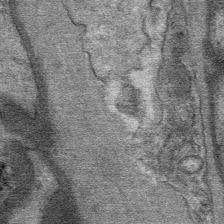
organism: Mouse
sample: Mouse Salivary gland